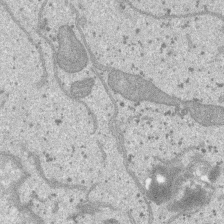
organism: Human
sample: Lung epithelial cells infected with SARS-CoV-2